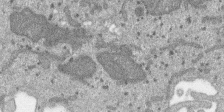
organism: Human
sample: Lung epithelial cells infected with SARS-CoV-2